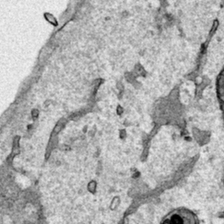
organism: Human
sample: Mitochondria in HCT116 cells